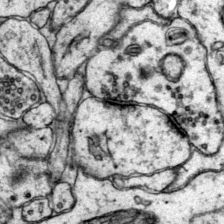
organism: Mouse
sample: Primary visual cortex